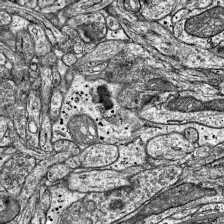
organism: Mouse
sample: Visual Cortex